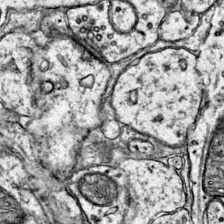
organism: Mouse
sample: Primary visual cortex